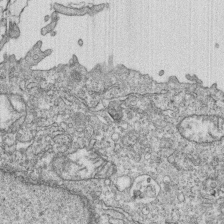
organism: Human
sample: HeLa cell HIV synapse